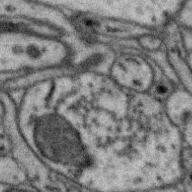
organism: Zebra finch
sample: Brain